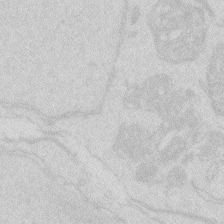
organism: Zebrafish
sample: Macrophage